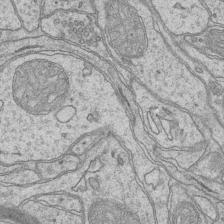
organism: Mouse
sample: CA1 Hippocampus